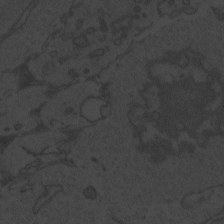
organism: Zebrafish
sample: Macrophage infected with Toxoplasma gondii